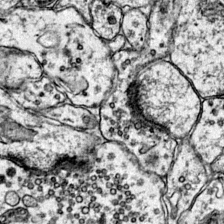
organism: Mouse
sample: Primary visual cortex